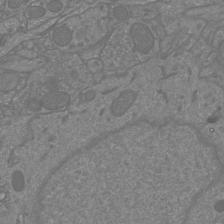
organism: Mouse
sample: Cortical neurons